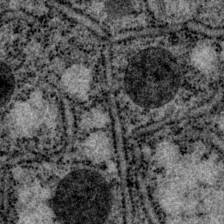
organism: P. pacificus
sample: Pharynx